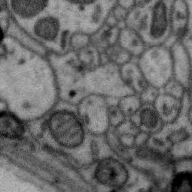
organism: Zebra finch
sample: Brain